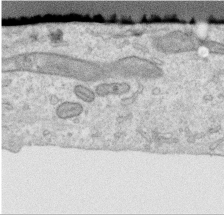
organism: Human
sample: Centriole in RPE cells